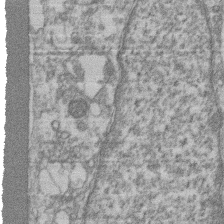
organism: Mouse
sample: T cell stromal cell synapse